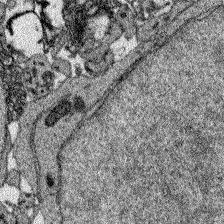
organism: Zebrafish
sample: Larval olfactory bulb